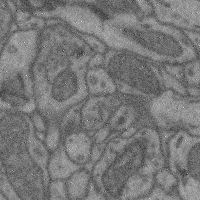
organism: Mouse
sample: Cerebral cortex